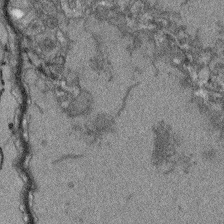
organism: Arabidopsis thaliana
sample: Root tip